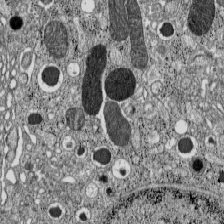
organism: C57BL Mouse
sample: Pancreatic islet